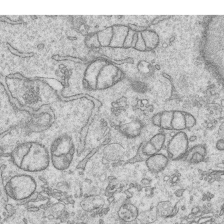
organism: Human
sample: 1205lu cells